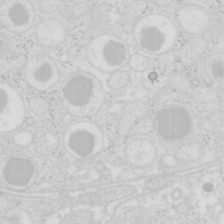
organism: Mouse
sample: Pancreas